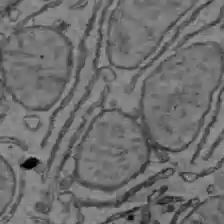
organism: C57BL Mouse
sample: Liver